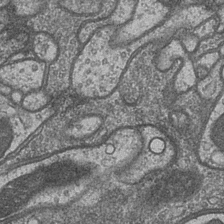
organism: Drosophila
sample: Optic medulla